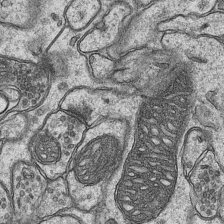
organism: Mouse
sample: CA1 Hippocampus